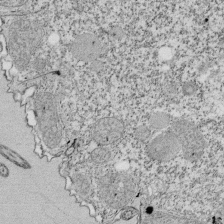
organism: Tetrahymena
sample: Cilia in tetrahymena